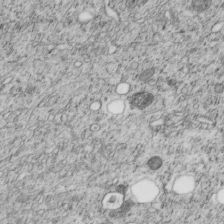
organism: C. elegans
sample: C. elegans embryo early stage